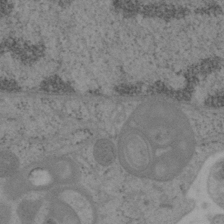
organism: Mouse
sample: OT-I killer T cells with ID8 ovarian cancer cells